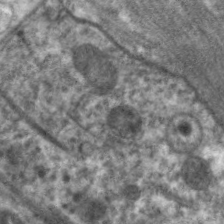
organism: C. elegans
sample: Pharynx